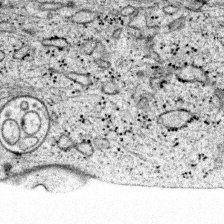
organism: Human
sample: HeLa cells